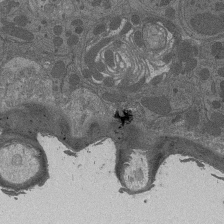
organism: Drosophila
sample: Antenna